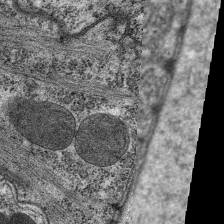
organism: C. elegans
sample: Pharynx